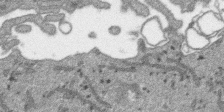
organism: Human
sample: Lung epithelial cells infected with SARS-CoV-2